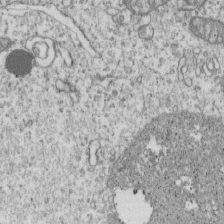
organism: Human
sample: MDA-MB-231 cells